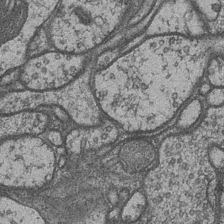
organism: Drosophila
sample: Optic medulla